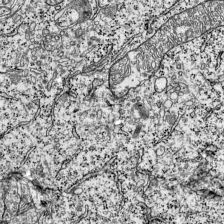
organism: Mouse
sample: Visual Cortex